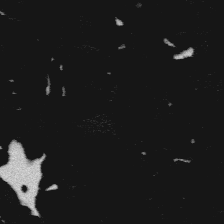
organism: Platynereis dumerilii